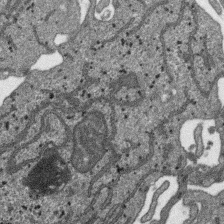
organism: Human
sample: Lung epithelial cells infected with SARS-CoV-2